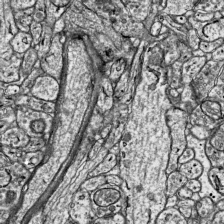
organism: Mouse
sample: Visual Cortex